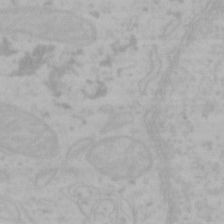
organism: Mouse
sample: Choroid plexus